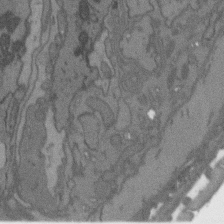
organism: C. elegans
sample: AFD neurons C. elegans